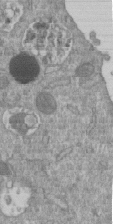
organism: Mouse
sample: ED-1 cell nuclei; centrioles